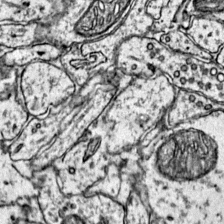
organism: Mouse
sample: Primary visual cortex